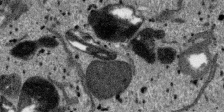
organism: Human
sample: Lung epithelial cells, uninfected (mock) control